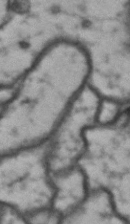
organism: Drosophila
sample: Brain